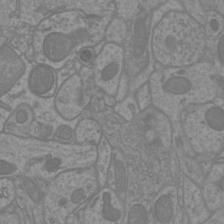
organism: Mouse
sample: Cortical neurons